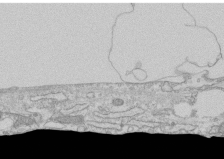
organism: Human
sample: CRL-1474